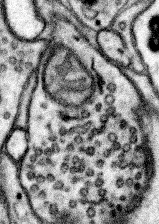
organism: Mouse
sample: Somatosensory cortex neuropil